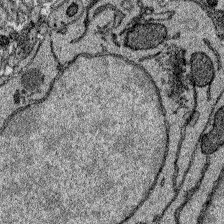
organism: Zebrafish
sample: Larval olfactory bulb